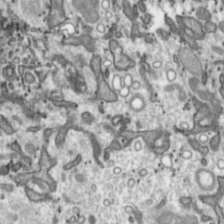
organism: Toxoplasma gondii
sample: Parasites in a vacuole inside a host cell